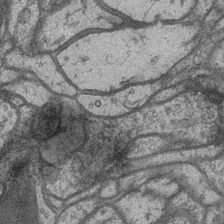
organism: Drosophila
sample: Optic medulla